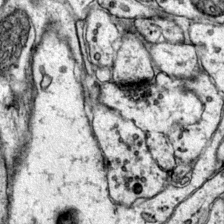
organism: Mouse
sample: Primary visual cortex